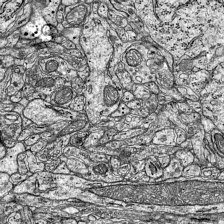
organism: Mouse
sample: Visual Cortex